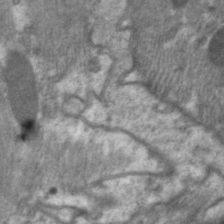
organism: C. elegans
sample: Pharynx